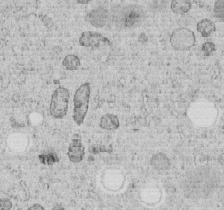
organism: C. elegans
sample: C. elegans embryo early stage